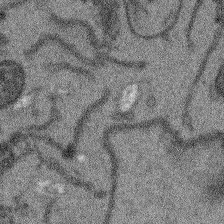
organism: Arabidopsis thaliana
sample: Root tip